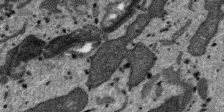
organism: Human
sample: Lung epithelial cells, uninfected (mock) control